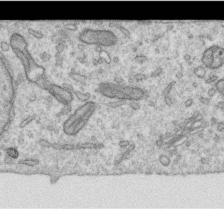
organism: Human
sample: Centriole in RPE cells